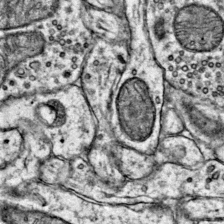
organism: Mouse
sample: Primary visual cortex